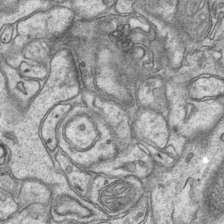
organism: Mouse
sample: CA1 Hippocampus